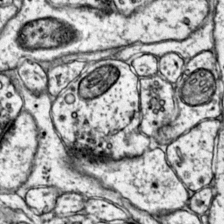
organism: Mouse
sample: Primary visual cortex